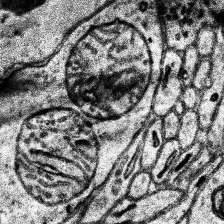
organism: Human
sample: Temporal Lobe